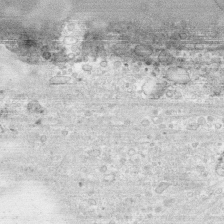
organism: Human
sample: CRL-1474